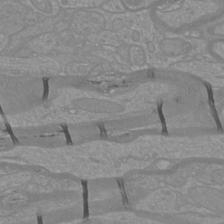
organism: Mouse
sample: Cortical neurons